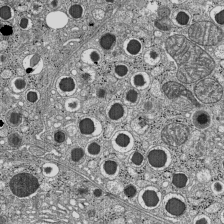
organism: C57BL Mouse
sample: Pancreatic islet